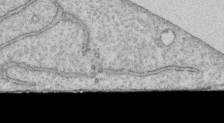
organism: Human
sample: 1205lu cells